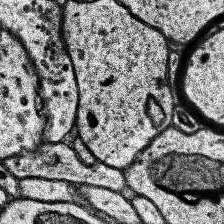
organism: Human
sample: Temporal Lobe